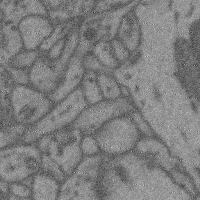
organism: Mouse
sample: Cerebral cortex